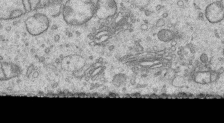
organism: Human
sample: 1205lu cells